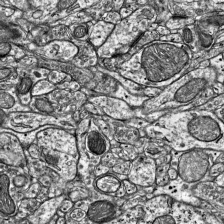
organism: Mouse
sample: Visual Cortex